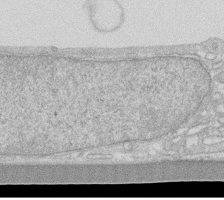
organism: Human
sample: Fibroblast cells